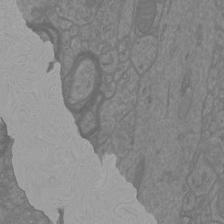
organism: Mouse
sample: Cortical neurons